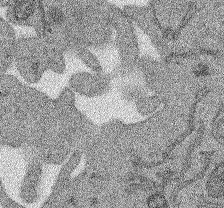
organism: Human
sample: HeLa cells